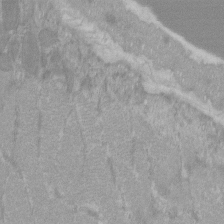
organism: C57BL Mouse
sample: Tibialis anterior muscle cell